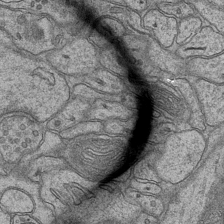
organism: Mouse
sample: CA1 Hippocampus